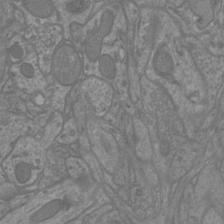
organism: Mouse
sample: Cortical neurons